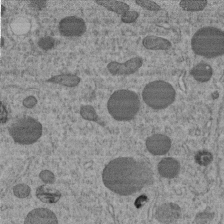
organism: C. elegans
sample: C. elegans embryo early stage